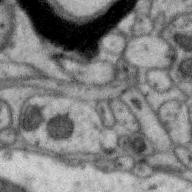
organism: Zebra finch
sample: Brain